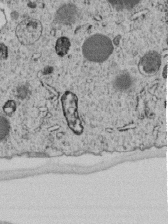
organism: C. elegans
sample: C. elegans embryo early stage